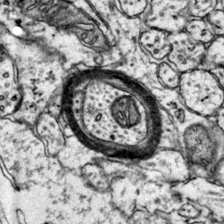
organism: Mouse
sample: Primary visual cortex